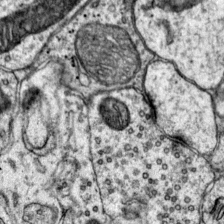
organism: Mouse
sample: Primary visual cortex